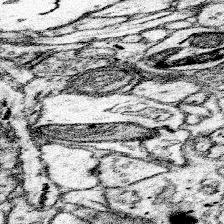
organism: Mouse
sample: Somatosensory cortex neuropil